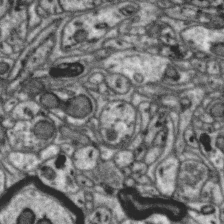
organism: Zebra finch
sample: Brain